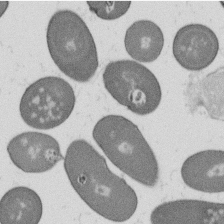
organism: B. subtilis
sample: Bacterial spore